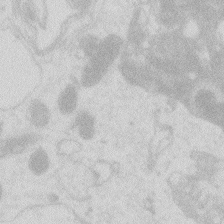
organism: Zebrafish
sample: Macrophage